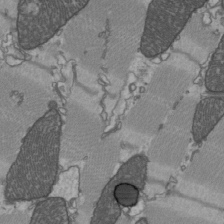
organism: C57BL Mouse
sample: Heart